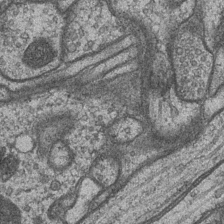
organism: Drosophila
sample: Optic medulla